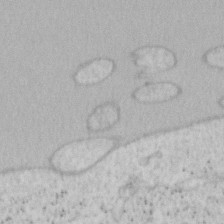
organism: Human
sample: HeLa cells